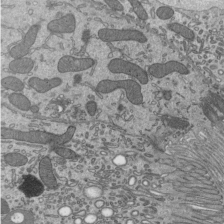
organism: Mouse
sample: Mouse epididymis efferent ductule cilia